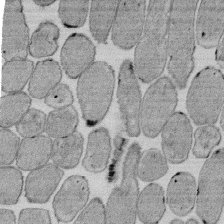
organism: E. coli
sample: Bacterial nucleoid